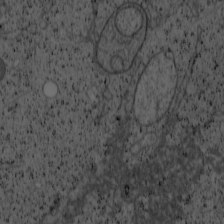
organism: African green monkey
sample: COS-7 cells